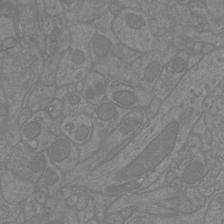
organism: Mouse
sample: Cortical neurons